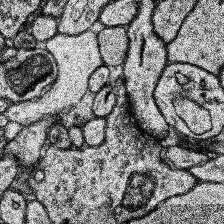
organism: Human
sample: Temporal Lobe